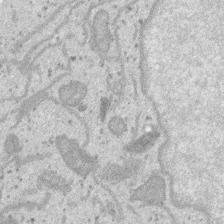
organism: Human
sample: Lung epithelial cells infected with SARS-CoV-2